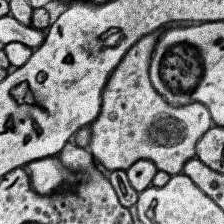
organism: Human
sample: Temporal Lobe